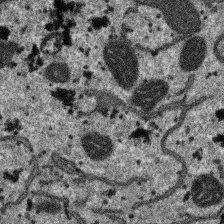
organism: Human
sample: Lung epithelial cells infected with SARS-CoV-2